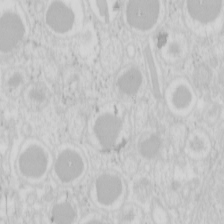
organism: Mouse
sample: Pancreas